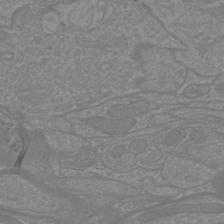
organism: Mouse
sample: Cortical neurons